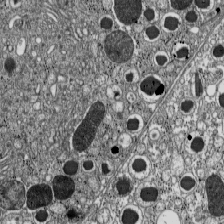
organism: C57BL Mouse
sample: Pancreatic islet